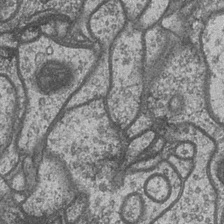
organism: Drosophila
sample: Optic medulla